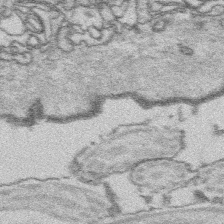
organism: Platynereis dumerilii